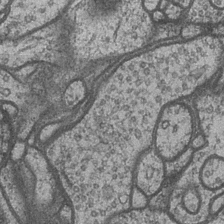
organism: Drosophila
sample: Optic medulla